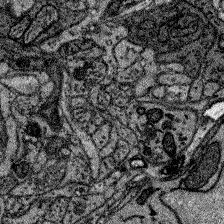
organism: Zebrafish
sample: Larval olfactory bulb